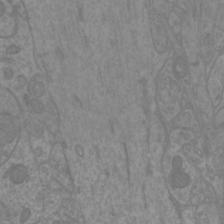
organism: Mouse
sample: Cortical neurons